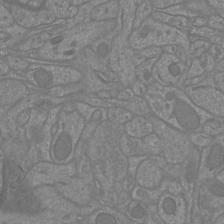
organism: Mouse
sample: Cortical neurons